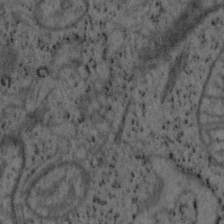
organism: Human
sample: HeLa cells